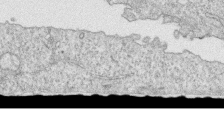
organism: Human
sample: HeLa cell HIV synapse